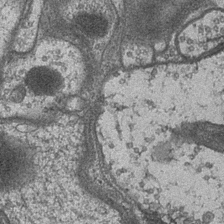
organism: Drosophila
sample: Optic medulla